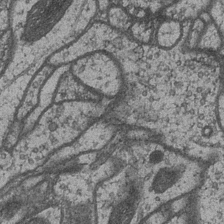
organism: Drosophila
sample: Optic medulla